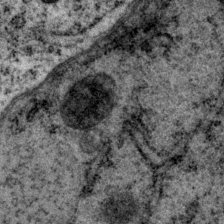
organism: P. pacificus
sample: Pharynx